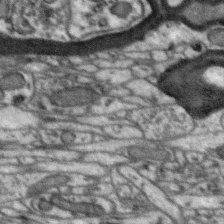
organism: Zebra finch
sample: Brain